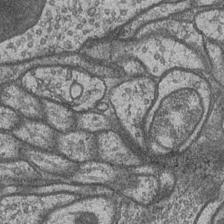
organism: Drosophila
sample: Optic medulla